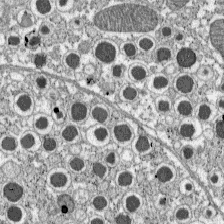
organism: C57BL Mouse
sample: Pancreatic islet